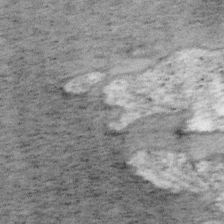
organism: Mouse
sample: OT-I killer T cells with ID8 ovarian cancer cells